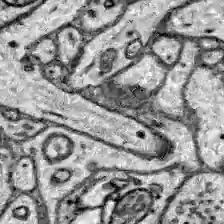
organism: Zebrafish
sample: Brain